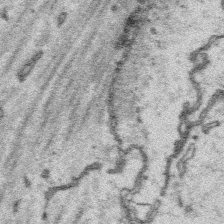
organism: Platynereis dumerilii